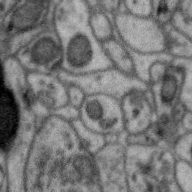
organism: Zebra finch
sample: Brain